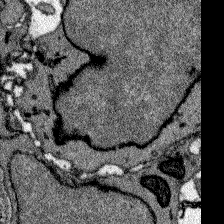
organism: Zebrafish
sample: Larval olfactory bulb